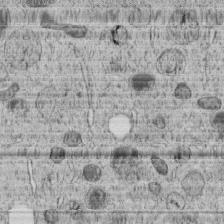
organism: C. elegans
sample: C. elegans embryo early stage